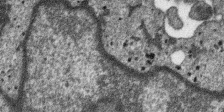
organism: Human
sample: Lung epithelial cells infected with SARS-CoV-2